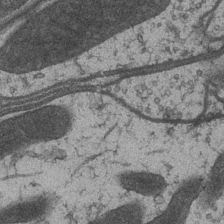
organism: Drosophila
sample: Optic medulla